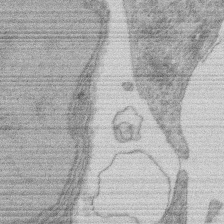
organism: Rat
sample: Salivary granule